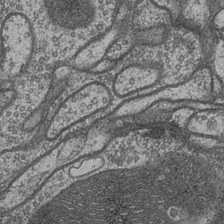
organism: Drosophila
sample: Optic medulla